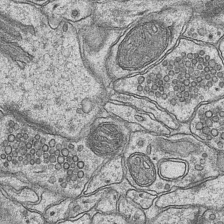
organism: Mouse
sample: CA1 Hippocampus